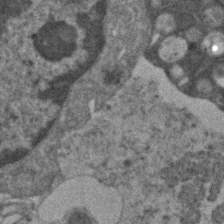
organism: Human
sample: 1205lu cells